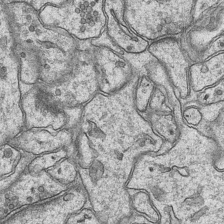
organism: Mouse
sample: CA1 Hippocampus